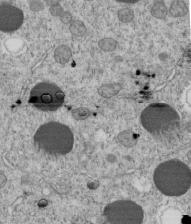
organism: C. elegans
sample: C. elegans embryo early stage